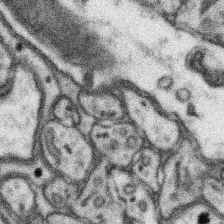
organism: Mouse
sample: Somatosensory cortex neuropil